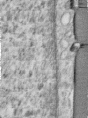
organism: Human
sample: Centriole in RPE cells